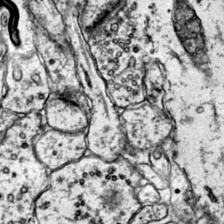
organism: Mouse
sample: Primary visual cortex